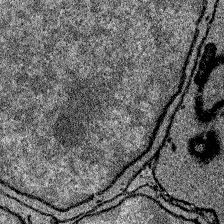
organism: Zebrafish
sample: Larval olfactory bulb